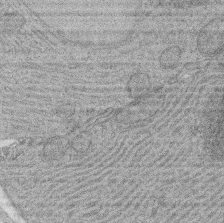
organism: Rat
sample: Salivary granule